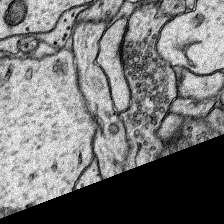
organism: Rat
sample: Hippocampus